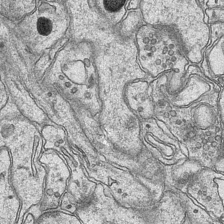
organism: Mouse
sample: CA1 Hippocampus